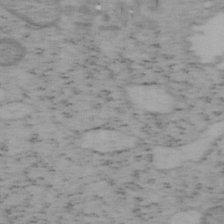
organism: Mouse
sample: OT-I killer T cells with ID8 ovarian cancer cells